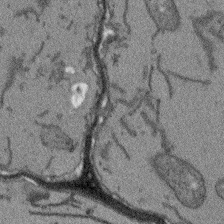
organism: Arabidopsis thaliana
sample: Root tip